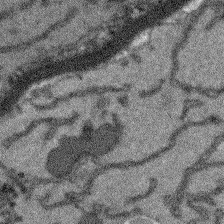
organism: Arabidopsis thaliana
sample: Root tip